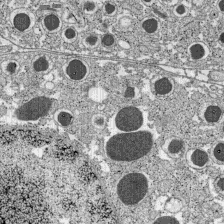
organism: C57BL Mouse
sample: Pancreatic islet